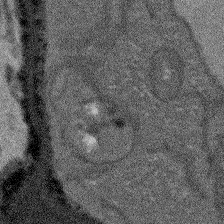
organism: Arabidopsis thaliana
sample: Root tip